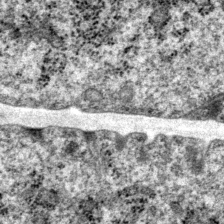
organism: P. pacificus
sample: Pharynx